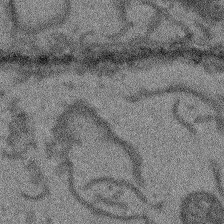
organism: Arabidopsis thaliana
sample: Root tip